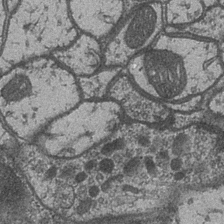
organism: Drosophila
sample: Optic medulla